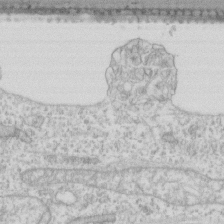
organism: Human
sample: Fibroblast cells